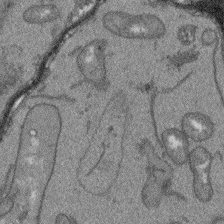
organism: Arabidopsis thaliana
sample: Root tip